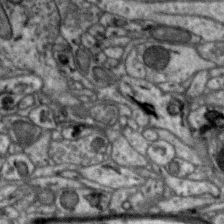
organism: Zebra finch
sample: Brain